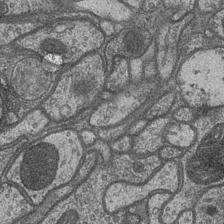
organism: Drosophila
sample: Optic medulla